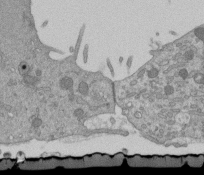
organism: Mouse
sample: ED-1 cell nuclei; centrioles